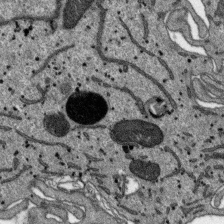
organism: Human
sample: Lung epithelial cells, uninfected (mock) control